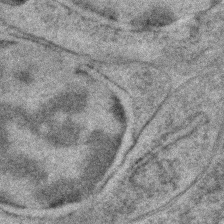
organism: C. elegans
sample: C. elegans embryo